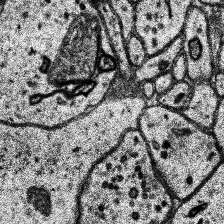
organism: Human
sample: Temporal Lobe